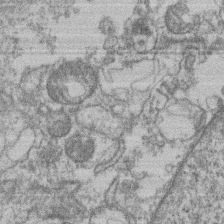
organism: Mouse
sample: T cell stromal cell synapse